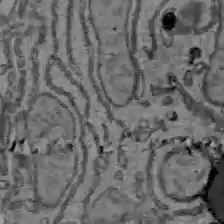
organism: C57BL Mouse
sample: Liver